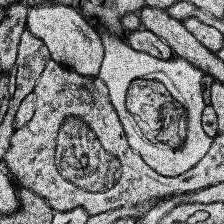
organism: Human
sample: Temporal Lobe